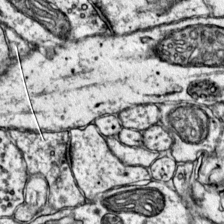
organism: Mouse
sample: Primary visual cortex